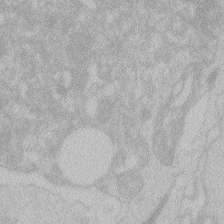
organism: Zebrafish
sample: Macrophage infected with Toxoplasma gondii